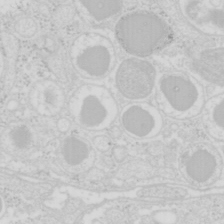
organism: Mouse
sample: Pancreas